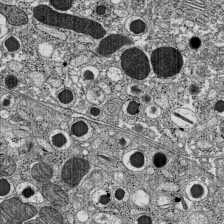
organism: C57BL Mouse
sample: Pancreatic islet